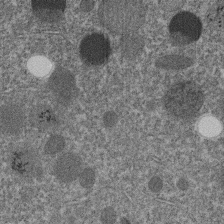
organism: C. elegans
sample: C. elegans embryo early stage